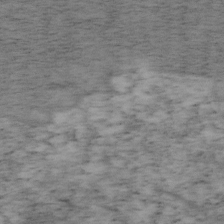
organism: Mouse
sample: OT-I killer T cells with ID8 ovarian cancer cells